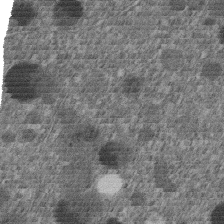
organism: C. elegans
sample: C. elegans embryo early stage